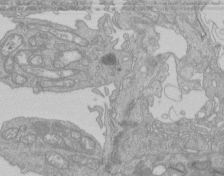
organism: Human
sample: Retinal organoid Rod and Cone cells